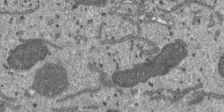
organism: Human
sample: Lung epithelial cells infected with SARS-CoV-2